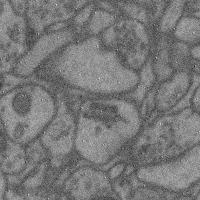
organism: Mouse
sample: Cerebral cortex